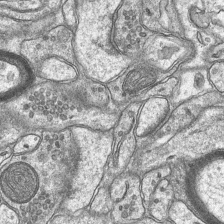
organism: Mouse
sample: CA1 Hippocampus